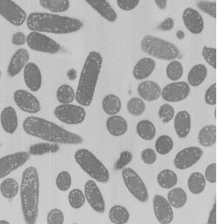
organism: E. coli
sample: Bacterial nucleoid